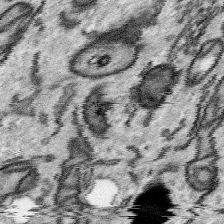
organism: Human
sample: HeLa cells